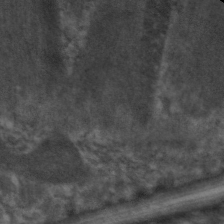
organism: C. elegans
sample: Pharynx